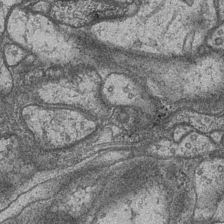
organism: Drosophila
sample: Optic medulla